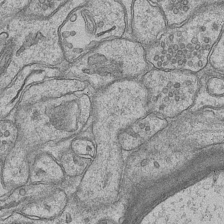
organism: Mouse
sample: CA1 Hippocampus